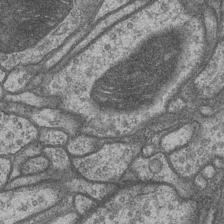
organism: Drosophila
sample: Optic medulla